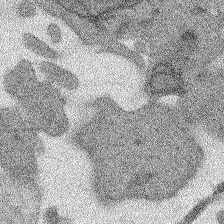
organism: Human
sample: HeLa cells